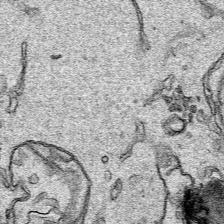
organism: Human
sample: Mitochondria in HCT116 cells